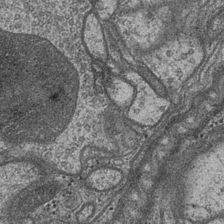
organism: Drosophila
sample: Optic medulla